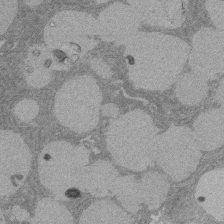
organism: Rat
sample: Salivary granule